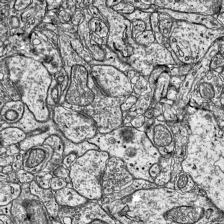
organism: Mouse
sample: Visual Cortex